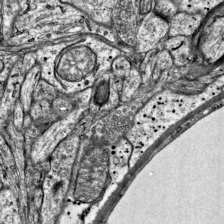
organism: Mouse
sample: Visual Cortex